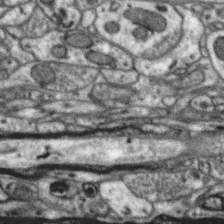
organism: Zebra finch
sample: Brain